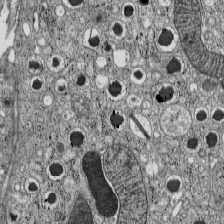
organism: C57BL Mouse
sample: Pancreatic islet